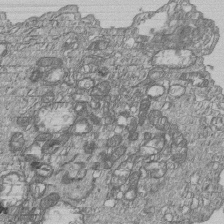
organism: Human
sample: MDA-MB-231 cells